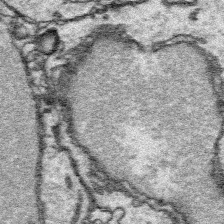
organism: Platynereis dumerilii